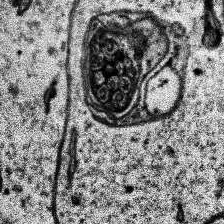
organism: Human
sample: Temporal Lobe